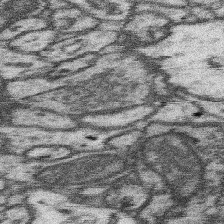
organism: Mouse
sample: Somatosensory cortex neuropil